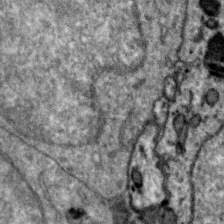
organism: Zebra finch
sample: Brain